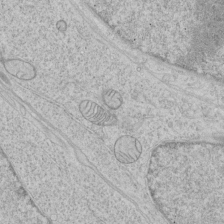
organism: Human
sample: Mitochondria in HCT116 cells